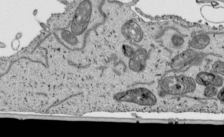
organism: Human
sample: Mitochondria in HCT116 cells